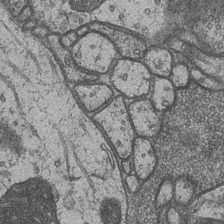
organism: Drosophila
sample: Optic medulla